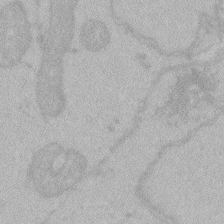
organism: Zebrafish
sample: Macrophage infected with Toxoplasma gondii